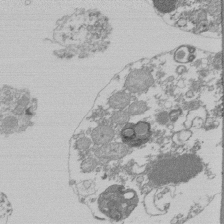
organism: Mouse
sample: Activated Pmel transgenic CD8+ T Cells